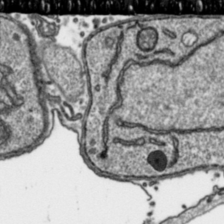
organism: Toxoplasma gondii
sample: Parasites in a vacuole inside a host cell